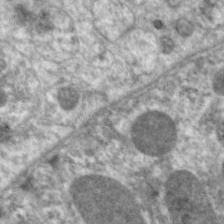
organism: C. elegans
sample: Pharynx